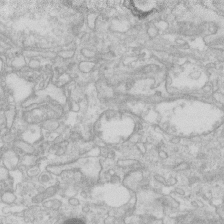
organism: Human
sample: Fibroblast cells